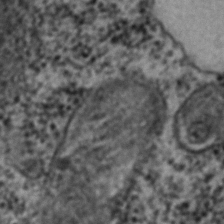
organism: C. elegans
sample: C. elegans embryo